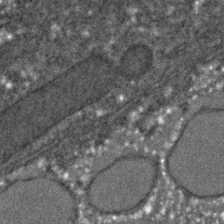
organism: C. elegans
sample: C. elegans embryo